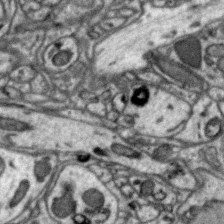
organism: Zebra finch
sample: Brain